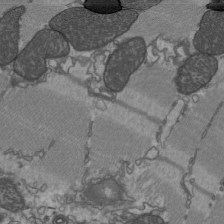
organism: C57BL Mouse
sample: Heart